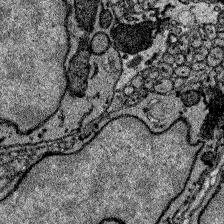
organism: Zebrafish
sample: Larval olfactory bulb